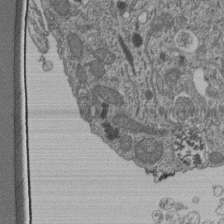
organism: Human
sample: Retinal organoid Rod and Cone cells